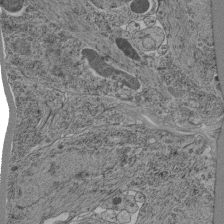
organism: C. elegans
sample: C. elegans pharynx